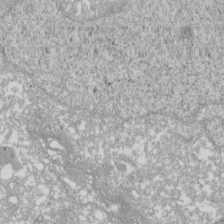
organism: Xenopus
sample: Cilia; centrioles in frog embryo cells